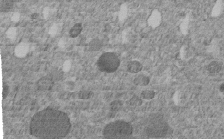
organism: C. elegans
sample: C. elegans embryo early stage